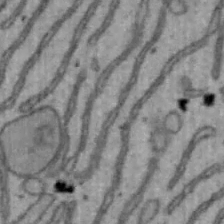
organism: Mouse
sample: Liver